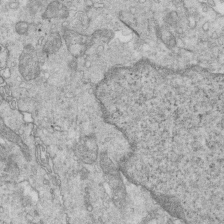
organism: Mouse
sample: Multiciliated cells